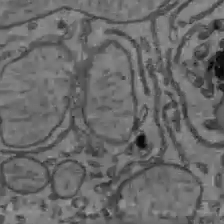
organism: C57BL Mouse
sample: Liver